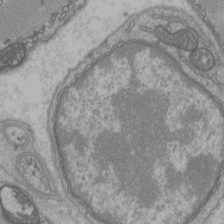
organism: C57BL Mouse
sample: Heart